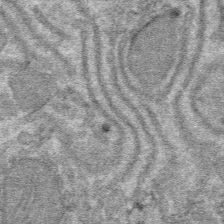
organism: Mouse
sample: Mouse hepatocytes